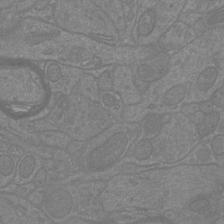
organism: Mouse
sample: Cortical neurons